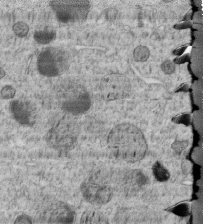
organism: C. elegans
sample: C. elegans embryo early stage